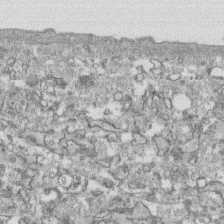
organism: Human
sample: CRL-1474